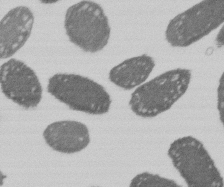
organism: E. coli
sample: Bacterial nucleoid